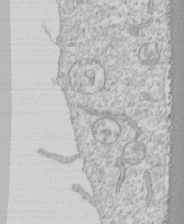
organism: Human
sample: CRL-1474